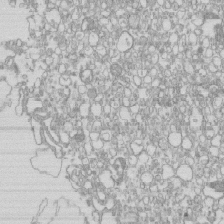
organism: Mouse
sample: Macrophages